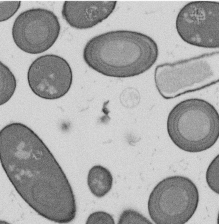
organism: B. subtilis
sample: Bacterial spore